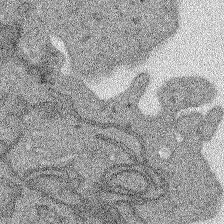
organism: Human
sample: HeLa cells